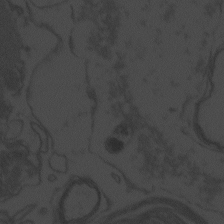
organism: Zebrafish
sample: Macrophage infected with Toxoplasma gondii